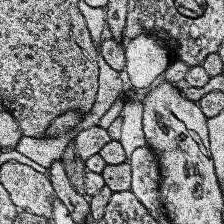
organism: Human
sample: Temporal Lobe